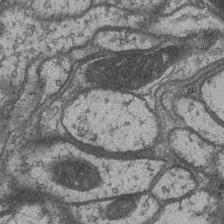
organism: Drosophila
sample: Optic medulla